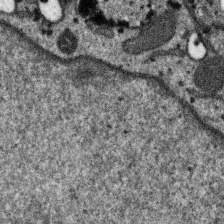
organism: Human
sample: Lung epithelial cells infected with SARS-CoV-2